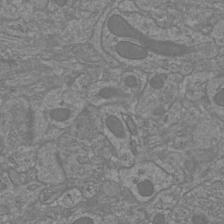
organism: Mouse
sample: Cortical neurons